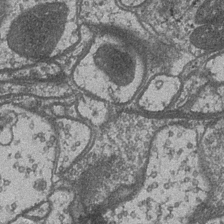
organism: Drosophila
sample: Optic medulla